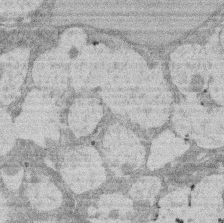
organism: Rat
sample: Salivary granule